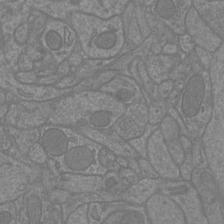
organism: Mouse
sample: Cortical neurons